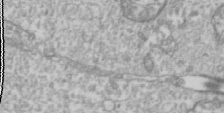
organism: Drosophila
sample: Cell division; meiosis; drosophila spermatocytes